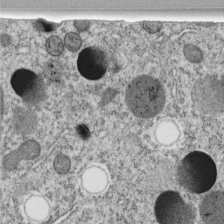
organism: C. elegans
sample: C. elegans embryo early stage